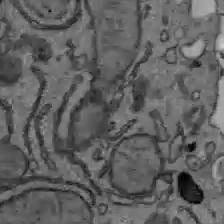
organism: C57BL Mouse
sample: Liver